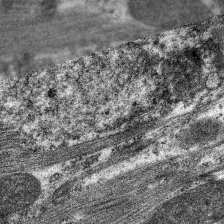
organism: C. elegans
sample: Pharynx